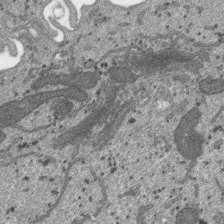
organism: Human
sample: Lung epithelial cells infected with SARS-CoV-2